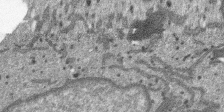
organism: Human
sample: Lung epithelial cells infected with SARS-CoV-2